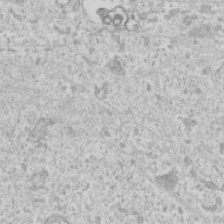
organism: Human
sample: Fibroblast cells